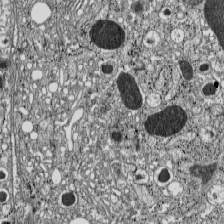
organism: C57BL Mouse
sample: Pancreatic islet